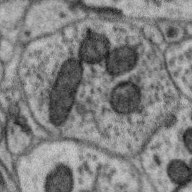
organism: Zebra finch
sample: Brain